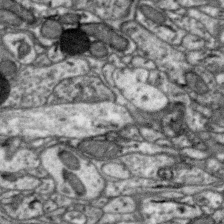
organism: Zebra finch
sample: Brain